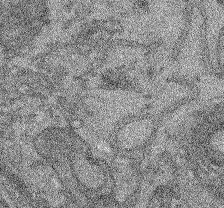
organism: Human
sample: HeLa cells